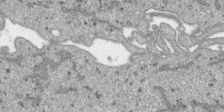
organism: Human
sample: Lung epithelial cells infected with SARS-CoV-2